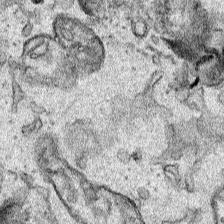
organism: Human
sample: Mitochondria in HCT116 cells